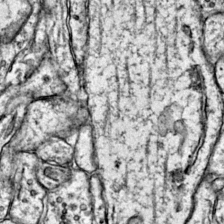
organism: Mouse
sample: Primary visual cortex